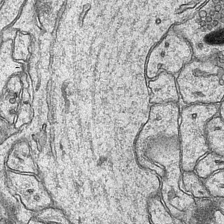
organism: Mouse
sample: CA1 Hippocampus